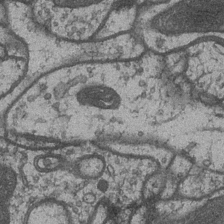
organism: Drosophila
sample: Optic medulla